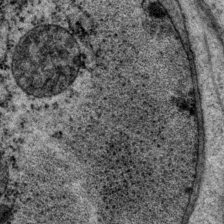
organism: P. pacificus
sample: Pharynx